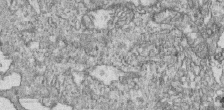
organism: Human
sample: HeLa cell HIV synapse